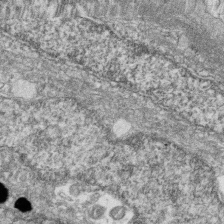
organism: Zebrafish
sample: Cilia; retinal pigment epithelium